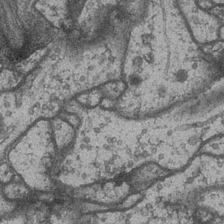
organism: Drosophila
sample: Optic medulla